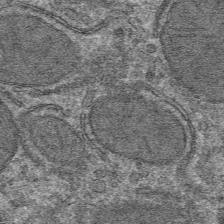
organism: Mouse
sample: Mouse hepatocytes